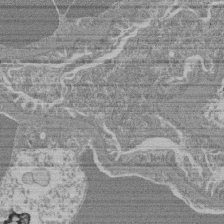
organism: Mouse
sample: Glomerulus